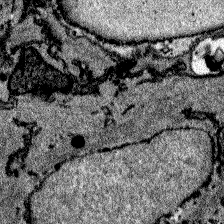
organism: Zebrafish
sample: Larval olfactory bulb